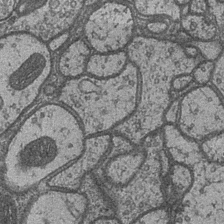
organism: Drosophila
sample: Optic medulla